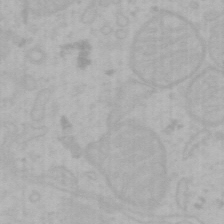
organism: Mouse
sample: Choroid plexus